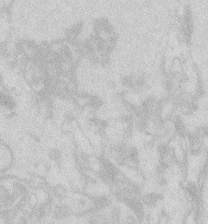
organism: Zebrafish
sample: Macrophage